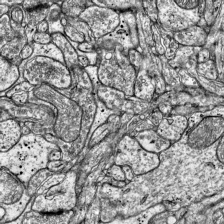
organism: Mouse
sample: Visual Cortex